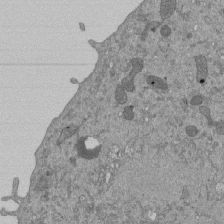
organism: Mouse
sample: ED-1 cell nuclei; centrioles